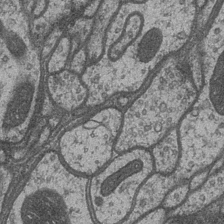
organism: Drosophila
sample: Optic medulla